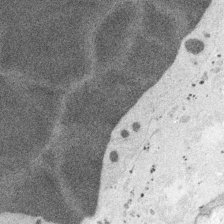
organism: Embia sp.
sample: Silk gland